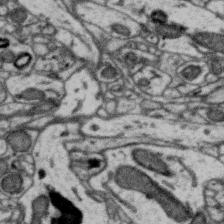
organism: Zebra finch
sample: Brain